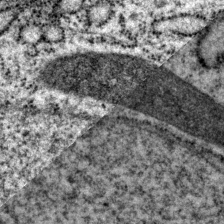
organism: P. pacificus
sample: Pharynx